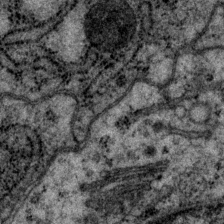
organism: P. pacificus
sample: Pharynx